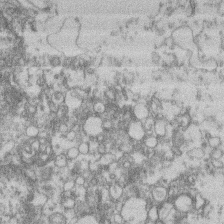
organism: Mouse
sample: T cell stromal cell synapse